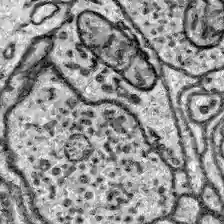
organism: Zebrafish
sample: Brain